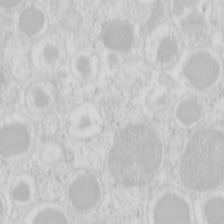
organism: Mouse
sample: Pancreas